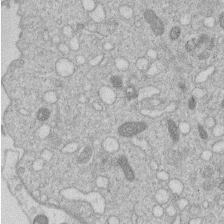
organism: Human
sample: Macrophage cells